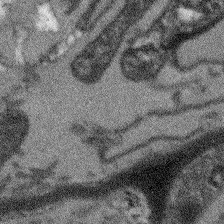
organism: Arabidopsis thaliana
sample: Root tip